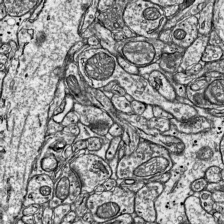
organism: Mouse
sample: Visual Cortex